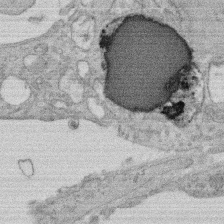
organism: Rat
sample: Salivary granule